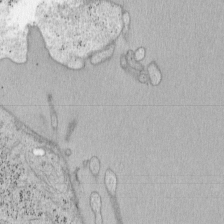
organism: Mouse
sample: OT-I killer T cells with ID8 ovarian cancer cells